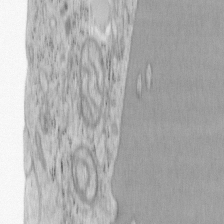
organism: Human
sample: HeLa cells